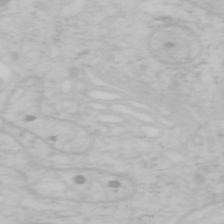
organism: Mouse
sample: OT-I killer T cells with ID8 ovarian cancer cells